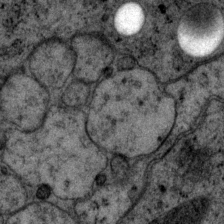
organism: P. pacificus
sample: Pharynx